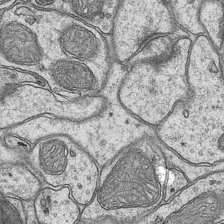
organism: Mouse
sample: CA1 Hippocampus